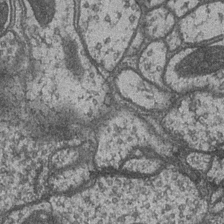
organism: Drosophila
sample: Optic medulla